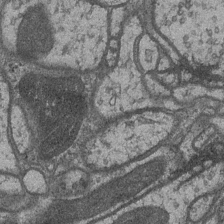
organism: Drosophila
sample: Optic medulla